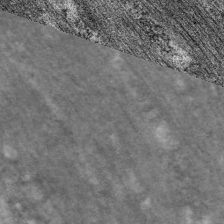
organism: C. elegans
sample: Pharynx